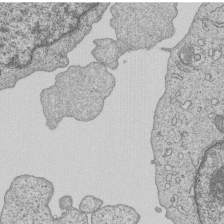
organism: Human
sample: MDA-MB-231 cells